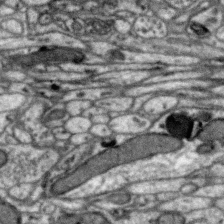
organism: Zebra finch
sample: Brain